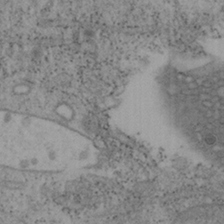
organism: Mouse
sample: OT-I killer T cells with ID8 ovarian cancer cells